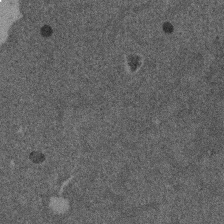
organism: Mouse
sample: Dividing mouse embryo 1 cell stage